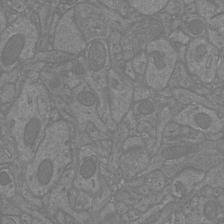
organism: Mouse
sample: Cortical neurons